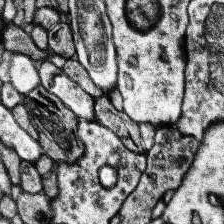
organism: Human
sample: Temporal Lobe